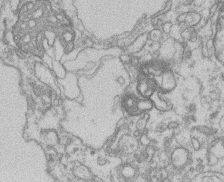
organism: Mouse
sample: T cell stromal cell synapse